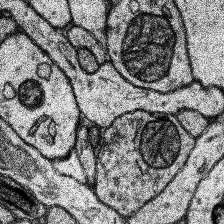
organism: Human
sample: Temporal Lobe